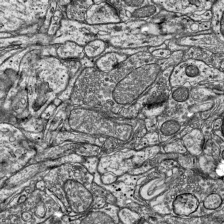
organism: Mouse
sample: Visual Cortex